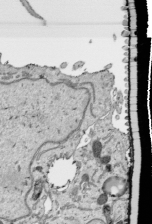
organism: Human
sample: Mitochondria in HCT116 cells